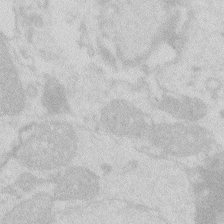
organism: Zebrafish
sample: Macrophage